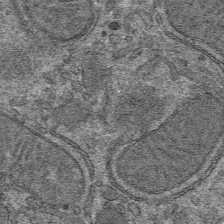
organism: Mouse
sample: Mouse hepatocytes